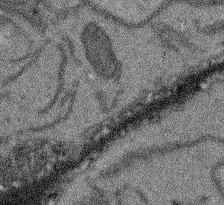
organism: Arabidopsis thaliana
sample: Root tip